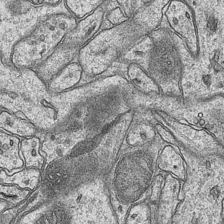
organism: Mouse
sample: CA1 Hippocampus